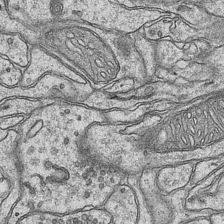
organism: Mouse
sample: CA1 Hippocampus